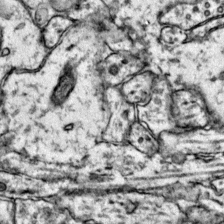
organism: Mouse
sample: Primary visual cortex